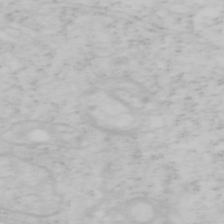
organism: Mouse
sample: OT-I killer T cells with ID8 ovarian cancer cells